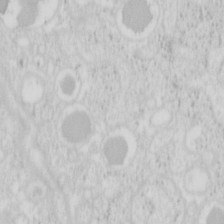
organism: Mouse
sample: Pancreas